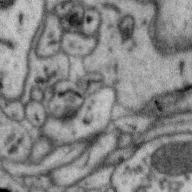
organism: Zebra finch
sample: Brain